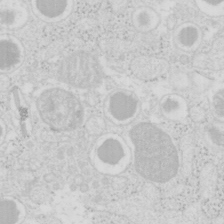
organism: Mouse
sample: Pancreas